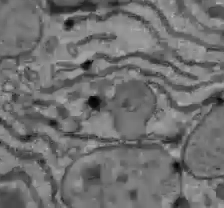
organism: C57BL Mouse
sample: Liver